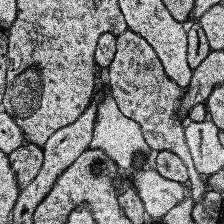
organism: Human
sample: Temporal Lobe